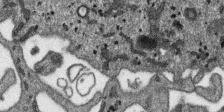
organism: Human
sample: Lung epithelial cells infected with SARS-CoV-2